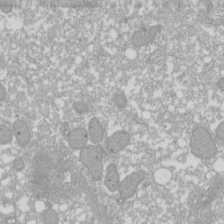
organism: Xenopus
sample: Cilia; centrioles in frog embryo cells